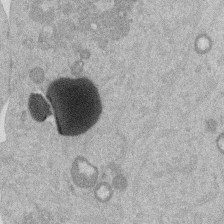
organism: Mouse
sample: Dividing mouse embryo 1 cell stage